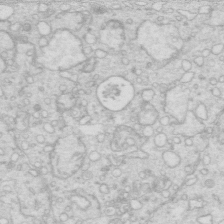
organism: Mouse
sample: Multiciliated cells